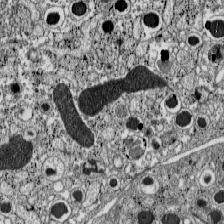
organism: C57BL Mouse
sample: Pancreatic islet